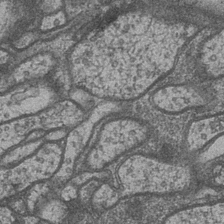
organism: Drosophila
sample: Optic medulla